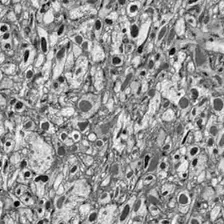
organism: Drosophila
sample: Optic lobe